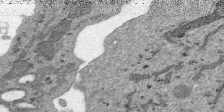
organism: Human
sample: Lung epithelial cells infected with SARS-CoV-2